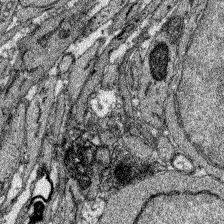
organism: Zebrafish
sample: Larval olfactory bulb